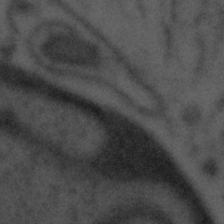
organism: Tuwongella immobilis